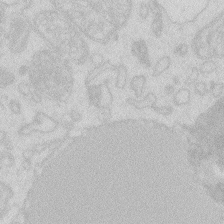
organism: Zebrafish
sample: Macrophage